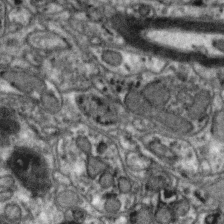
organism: Zebra finch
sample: Brain